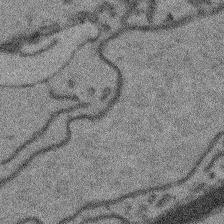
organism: Arabidopsis thaliana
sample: Root tip